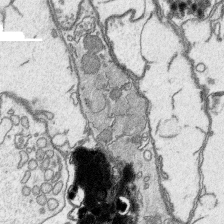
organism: Platynereis dumerilii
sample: Parapodia